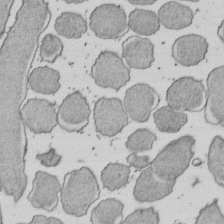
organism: E. coli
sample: Bacterial nucleoid